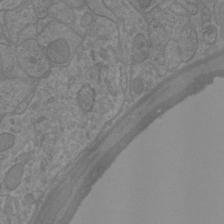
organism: Mouse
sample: Cortical neurons